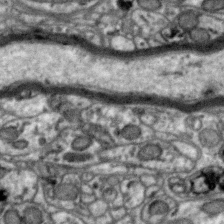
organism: Zebra finch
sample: Brain